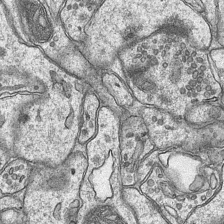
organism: Mouse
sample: CA1 Hippocampus